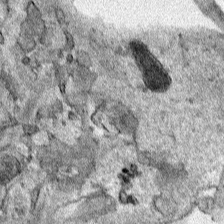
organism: Human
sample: Mitochondria in HCT116 cells